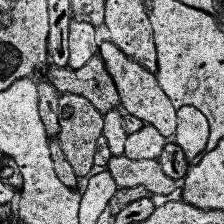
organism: Human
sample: Temporal Lobe